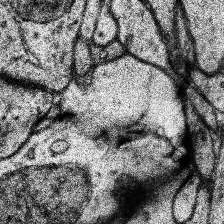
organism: Human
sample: Temporal Lobe